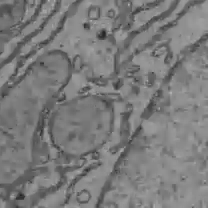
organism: C57BL Mouse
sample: Liver